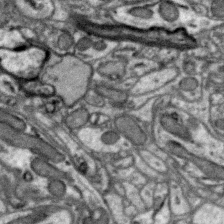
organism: Zebra finch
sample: Brain